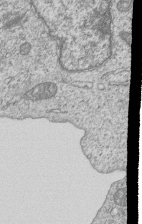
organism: Human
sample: MDA-MB-231 cells